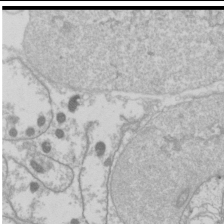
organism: Drosophila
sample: Cell division; meiosis; drosophila spermatocytes